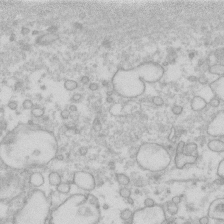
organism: Human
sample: Fibroblast cells